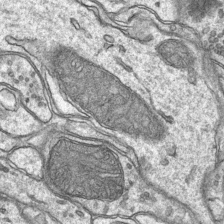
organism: Mouse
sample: CA1 Hippocampus